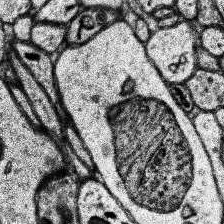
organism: Human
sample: Temporal Lobe